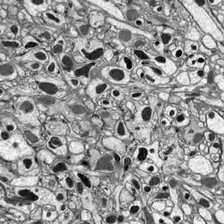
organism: Drosophila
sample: Optic lobe